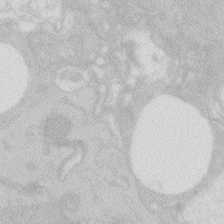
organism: Zebrafish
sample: Macrophage